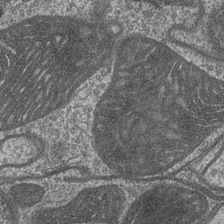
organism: Drosophila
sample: Optic medulla